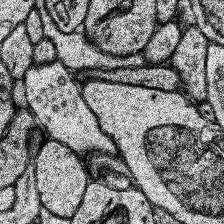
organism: Human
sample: Temporal Lobe